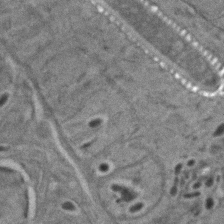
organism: C. elegans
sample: C. elegans embryo